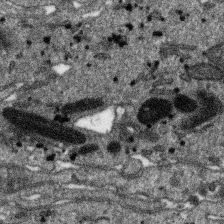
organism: Human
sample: Lung epithelial cells infected with SARS-CoV-2